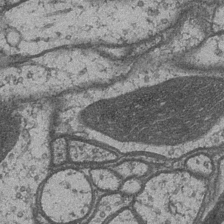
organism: Drosophila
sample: Optic medulla